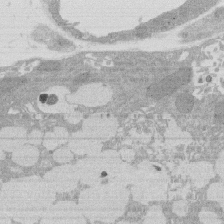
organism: Rat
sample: Salivary granule